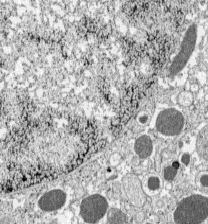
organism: C57BL Mouse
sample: Pancreatic islet